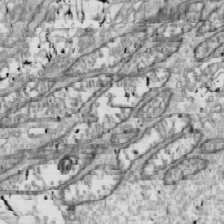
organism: Drosophila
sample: Cell division; meiosis; drosophila spermatocytes